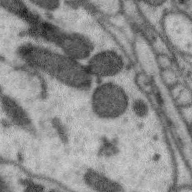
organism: Zebra finch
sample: Brain